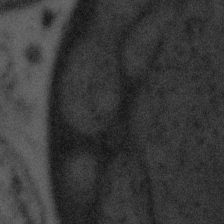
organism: Tuwongella immobilis